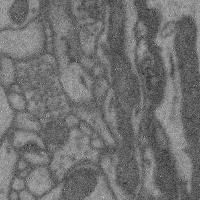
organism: Mouse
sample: Cerebral cortex